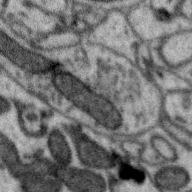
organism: Zebra finch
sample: Brain